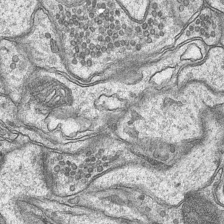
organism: Mouse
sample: CA1 Hippocampus